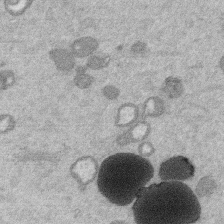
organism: Mouse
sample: Dividing mouse embryo 1 cell stage